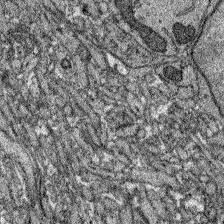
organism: Zebrafish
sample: Larval olfactory bulb